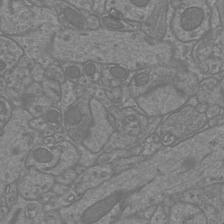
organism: Mouse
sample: Cortical neurons